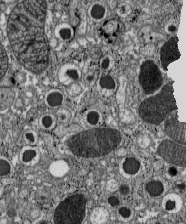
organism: C57BL Mouse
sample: Pancreatic islet